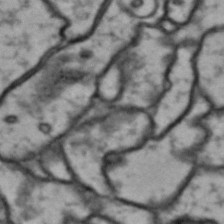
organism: Drosophila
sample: Brain